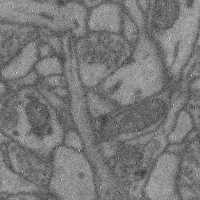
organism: Mouse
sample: Cerebral cortex